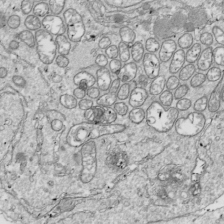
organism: Drosophila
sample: Cell division; meiosis; drosophila spermatocytes